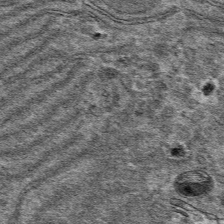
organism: Mouse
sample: Mouse hepatocytes